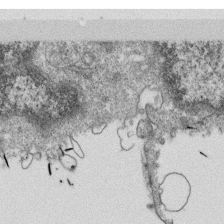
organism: African green monkey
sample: Vero E6 cells infected with SARS-CoV-2